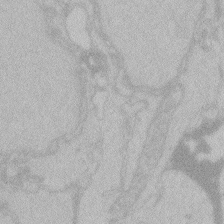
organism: Zebrafish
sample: Macrophage infected with Toxoplasma gondii